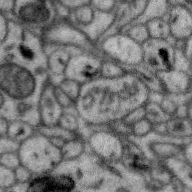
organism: Zebra finch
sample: Brain